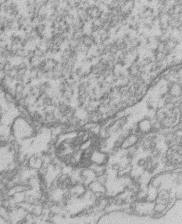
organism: Mouse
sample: T cell stromal cell synapse